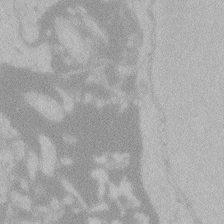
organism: Zebrafish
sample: Macrophage infected with Toxoplasma gondii